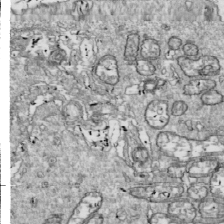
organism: Drosophila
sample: Cell division; meiosis; drosophila spermatocytes